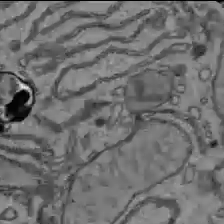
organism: C57BL Mouse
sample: Liver